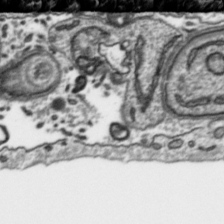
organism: Toxoplasma gondii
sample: Parasites in a vacuole inside a host cell